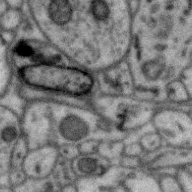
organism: Zebra finch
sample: Brain